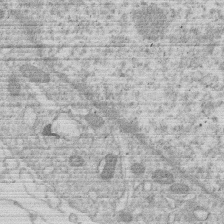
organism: Human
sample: Macrophage cells